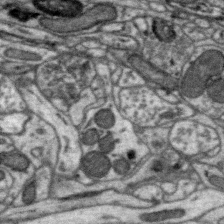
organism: Zebra finch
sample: Brain